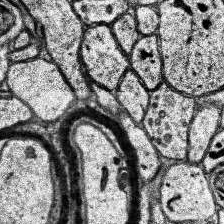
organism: Human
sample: Temporal Lobe